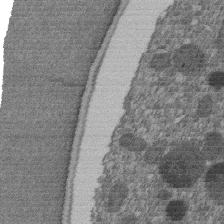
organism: C. elegans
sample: C. elegans embryo early stage